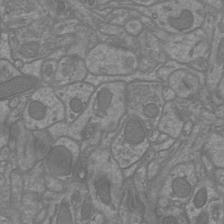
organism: Mouse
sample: Cortical neurons